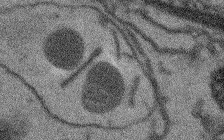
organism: Arabidopsis thaliana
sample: Root tip